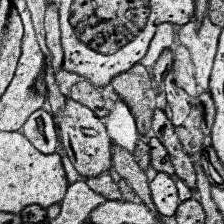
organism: Human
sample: Temporal Lobe